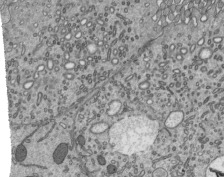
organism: Mouse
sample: Mouse epididymis efferent ductule cilia